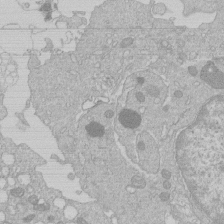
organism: Human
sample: Macrophage cells